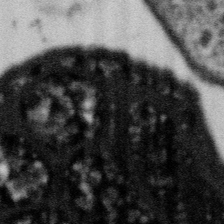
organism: Gemmata obscuriglobus